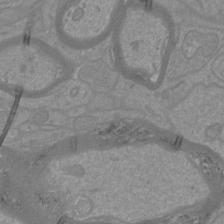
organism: Mouse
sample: Cortical neurons